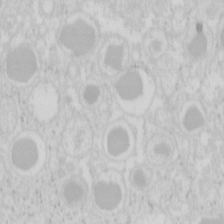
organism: Mouse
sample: Pancreas